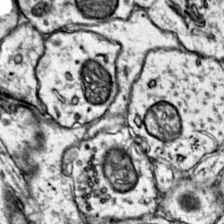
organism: Mouse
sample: Primary visual cortex